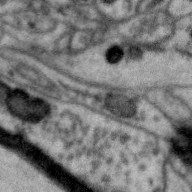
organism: Zebra finch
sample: Brain